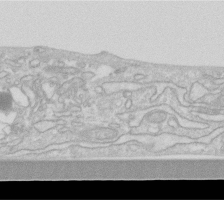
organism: Human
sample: Fibroblast cells